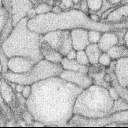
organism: Rabbit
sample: Retina